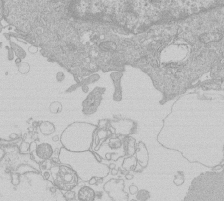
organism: Human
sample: Macrophage cells